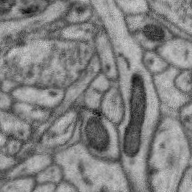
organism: Zebra finch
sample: Brain